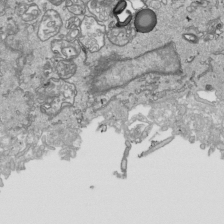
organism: Human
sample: Mitochondria in HCT116 cells